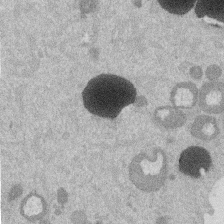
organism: Mouse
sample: Dividing mouse embryo 1 cell stage